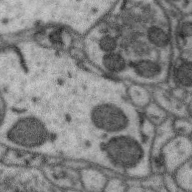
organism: Zebra finch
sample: Brain